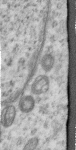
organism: Human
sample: Centriole in RPE cells